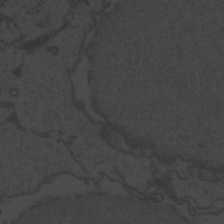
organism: Zebrafish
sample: Macrophage infected with Toxoplasma gondii